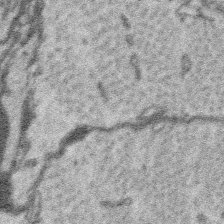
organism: Platynereis dumerilii